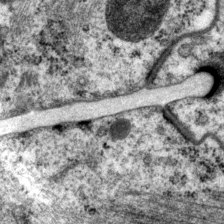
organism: P. pacificus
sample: Pharynx